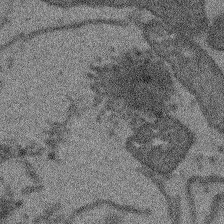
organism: Arabidopsis thaliana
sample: Root tip